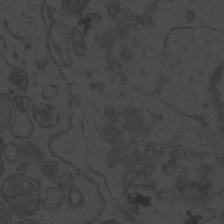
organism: Zebrafish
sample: Macrophage infected with Toxoplasma gondii